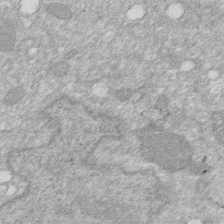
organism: Human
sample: HIV infected U937 cells